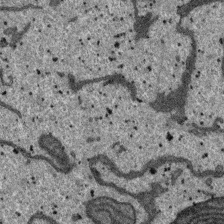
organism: Human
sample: Lung epithelial cells, uninfected (mock) control